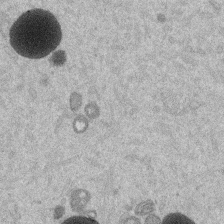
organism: Mouse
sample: Dividing mouse embryo 1 cell stage